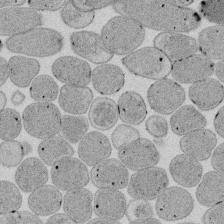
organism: E. coli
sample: Bacterial nucleoid